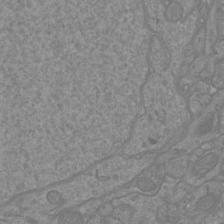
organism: Mouse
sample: Cortical neurons